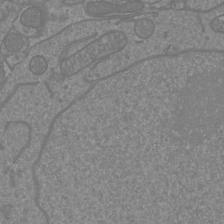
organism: Mouse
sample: Cortical neurons